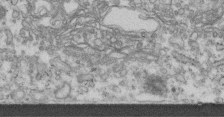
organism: Human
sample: Centriole in fibroblast cells